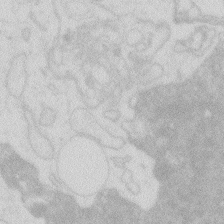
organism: Zebrafish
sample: Macrophage